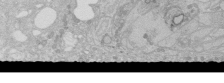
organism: Human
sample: Caco-2 cells